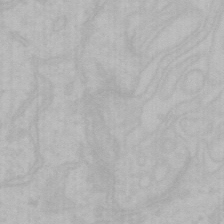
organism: Mouse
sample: Choroid plexus